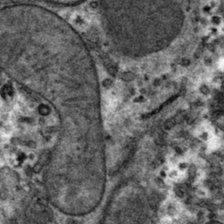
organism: Mouse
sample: Mouse hepatocytes